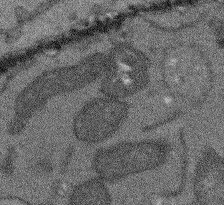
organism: Arabidopsis thaliana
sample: Root tip